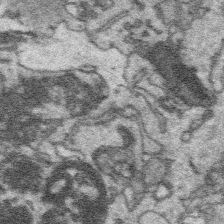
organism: Platynereis dumerilii